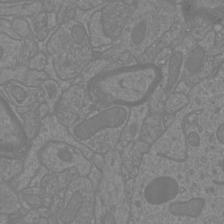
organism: Mouse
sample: Cortical neurons